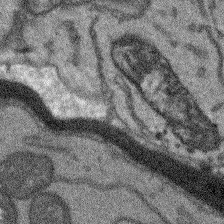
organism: Arabidopsis thaliana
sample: Root tip